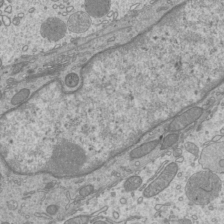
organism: Mouse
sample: Cilia; mouse epididymis